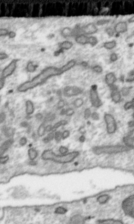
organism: Toxoplasma gondii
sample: Parasites in a vacuole inside a host cell